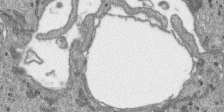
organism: Human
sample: Lung epithelial cells infected with SARS-CoV-2